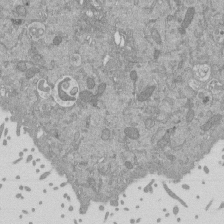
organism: Mouse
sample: ED-1 cell nuclei; centrioles